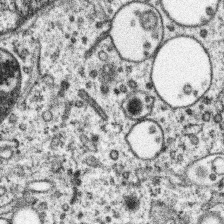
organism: Human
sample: HeLa cells